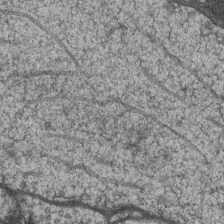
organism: Drosophila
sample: Optic medulla